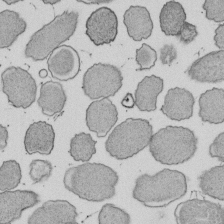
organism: E. coli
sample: Bacterial nucleoid